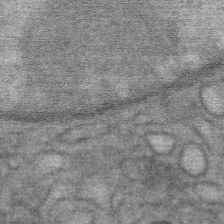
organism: Mouse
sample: Mouse Salivary gland